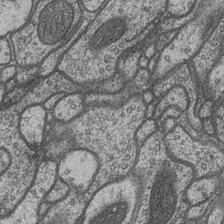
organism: Drosophila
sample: Optic medulla